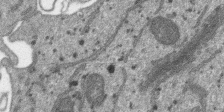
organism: Human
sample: Lung epithelial cells infected with SARS-CoV-2